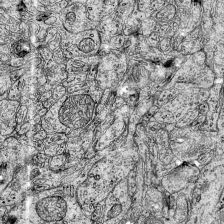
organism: Mouse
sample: Visual Cortex